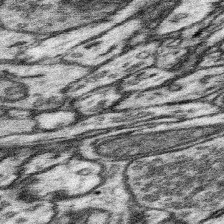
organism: Mouse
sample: Somatosensory cortex neuropil